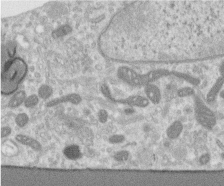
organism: Human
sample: Centriole in RPE cells